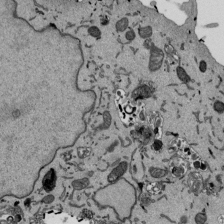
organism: Mouse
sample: ED-1 cell nuclei; centrioles